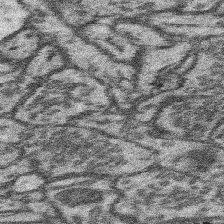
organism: Mouse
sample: Somatosensory cortex neuropil